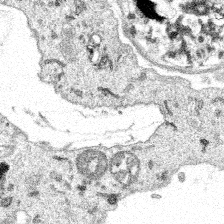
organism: Spongilla lacustris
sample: Multiple